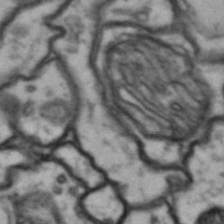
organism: Drosophila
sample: Brain